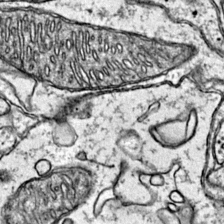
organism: Mouse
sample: Primary visual cortex